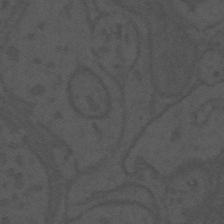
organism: Mouse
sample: Suprachiasmatic nucleus